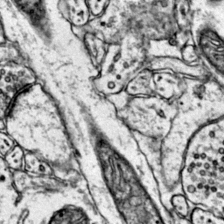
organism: Mouse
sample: Primary visual cortex